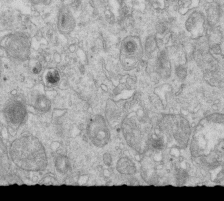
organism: Mouse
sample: Multiciliated cells